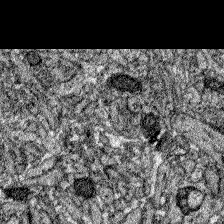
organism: Zebrafish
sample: Larval olfactory bulb